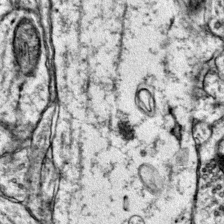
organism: Mouse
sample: Primary visual cortex